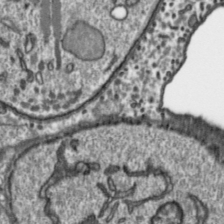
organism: Toxoplasma gondii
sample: Parasites in a vacuole inside a host cell